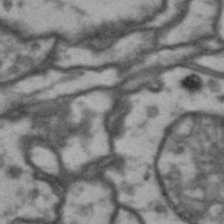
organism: Drosophila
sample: Brain